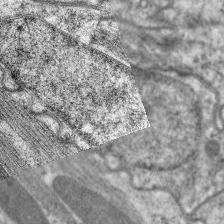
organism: C. elegans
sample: Pharynx